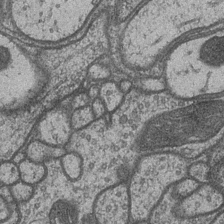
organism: Drosophila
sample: Optic medulla